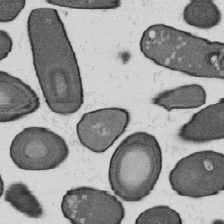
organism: B. subtilis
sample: Bacterial spore